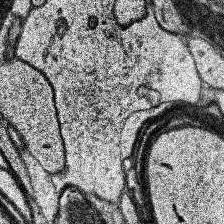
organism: Human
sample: Temporal Lobe